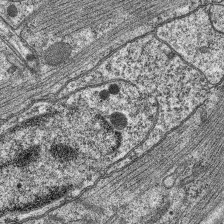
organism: C. elegans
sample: Pharynx